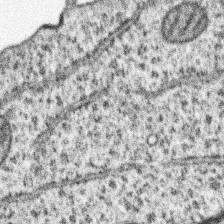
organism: Human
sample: HeLa cells